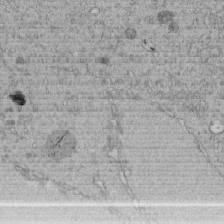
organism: C. elegans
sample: C. elegans embryo early stage